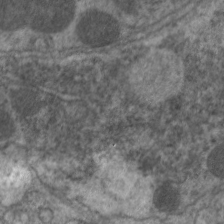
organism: C. elegans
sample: Pharynx